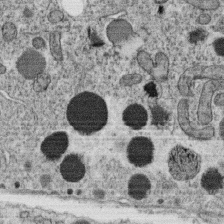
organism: C. elegans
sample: C. elegans oocyte; sperm cells